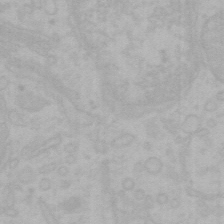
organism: Mouse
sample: Choroid plexus